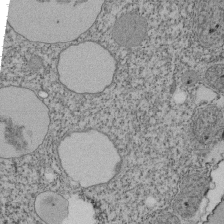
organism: Tetrahymena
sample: Cilia in tetrahymena